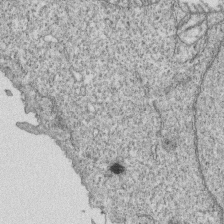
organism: Human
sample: HeLa cell HIV synapse